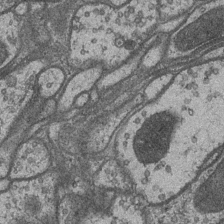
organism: Drosophila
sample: Optic medulla